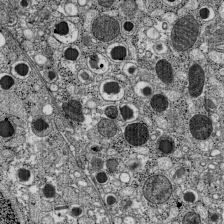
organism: C57BL Mouse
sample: Pancreatic islet